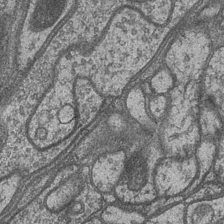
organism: Drosophila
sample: Optic medulla